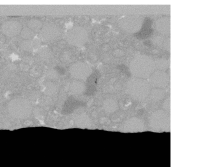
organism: C. elegans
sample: C. elegans oocyte; sperm cells